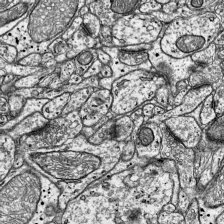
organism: Mouse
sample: Visual Cortex